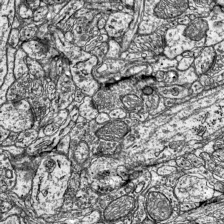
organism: Mouse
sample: Visual Cortex